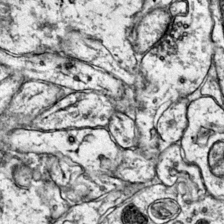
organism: Mouse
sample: Primary visual cortex